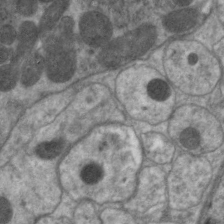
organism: C. elegans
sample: Pharynx